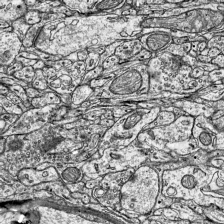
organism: Mouse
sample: Visual Cortex